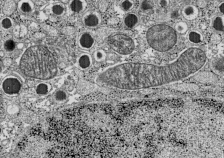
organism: C57BL Mouse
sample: Pancreatic islet